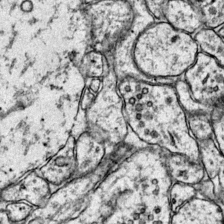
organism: Mouse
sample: Primary visual cortex